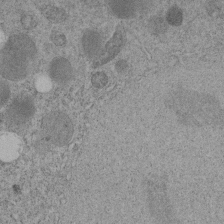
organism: C. elegans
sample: C. elegans embryo early stage